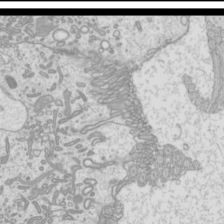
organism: Mouse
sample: Cilia; mouse epididymis